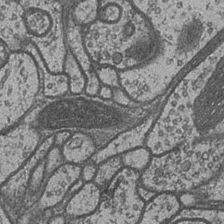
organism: Drosophila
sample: Optic medulla